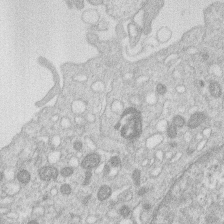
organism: Human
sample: Macrophage cells